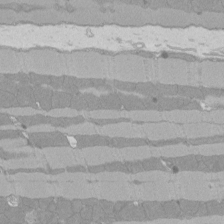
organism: Rat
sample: Left ventricle